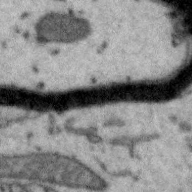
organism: Zebra finch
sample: Brain